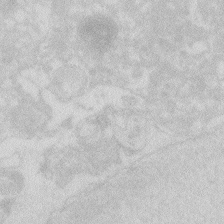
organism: Zebrafish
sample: Macrophage